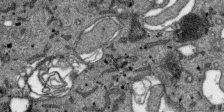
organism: Human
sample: Lung epithelial cells, uninfected (mock) control